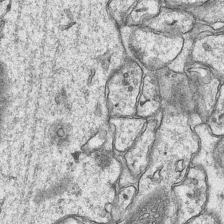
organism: Mouse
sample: CA1 Hippocampus